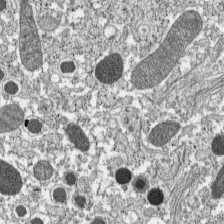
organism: C57BL Mouse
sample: Pancreatic islet